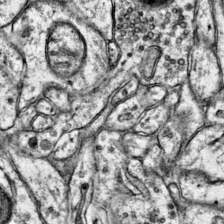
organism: Mouse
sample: Primary visual cortex